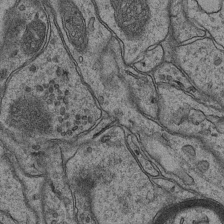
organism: Mouse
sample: CA1 Hippocampus